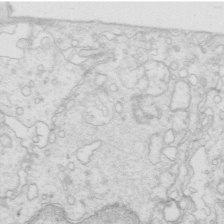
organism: Mouse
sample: Multiciliated cells